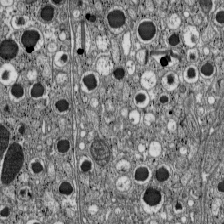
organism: C57BL Mouse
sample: Pancreatic islet